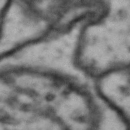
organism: Drosophila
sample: Brain